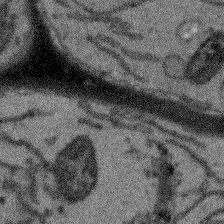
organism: Arabidopsis thaliana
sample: Root tip